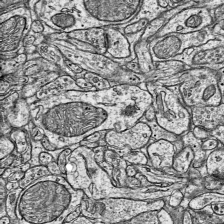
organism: Mouse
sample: Visual Cortex